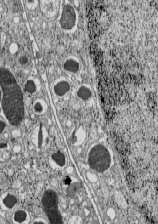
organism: C57BL Mouse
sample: Pancreatic islet